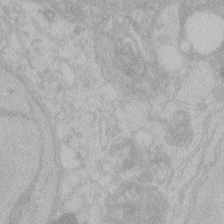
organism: Zebrafish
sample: Macrophage infected with Toxoplasma gondii